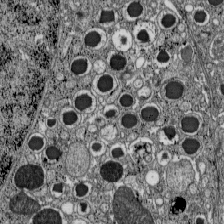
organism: C57BL Mouse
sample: Pancreatic islet